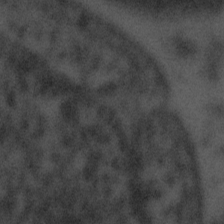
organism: Tuwongella immobilis